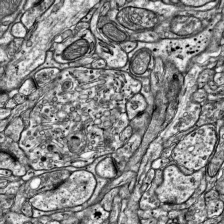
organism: Mouse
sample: Visual Cortex